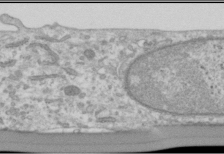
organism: Human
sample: Cilia; basal body in RPE cells